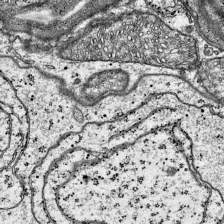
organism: Mouse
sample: Visual Cortex